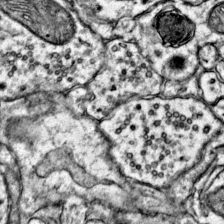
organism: Mouse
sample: Primary visual cortex